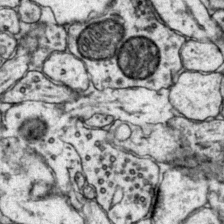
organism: Mouse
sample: Primary visual cortex